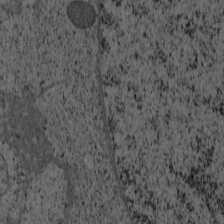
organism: African green monkey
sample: COS-7 cells